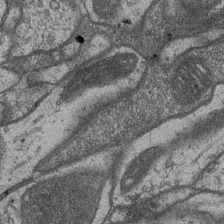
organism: Drosophila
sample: Optic medulla